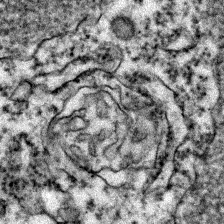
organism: Zebrafish